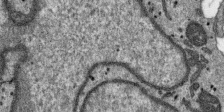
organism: Human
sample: Lung epithelial cells, uninfected (mock) control